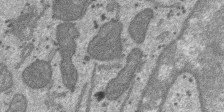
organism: Human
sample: Lung epithelial cells infected with SARS-CoV-2